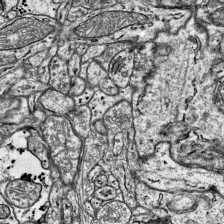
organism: Mouse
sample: Visual Cortex